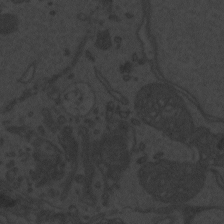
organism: Zebrafish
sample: Macrophage infected with Toxoplasma gondii